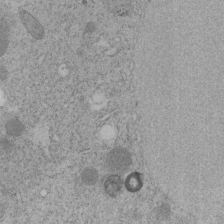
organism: C. elegans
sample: C. elegans embryo early stage